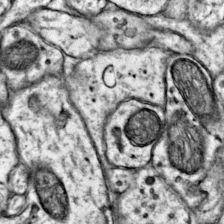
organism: Mouse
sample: Primary visual cortex